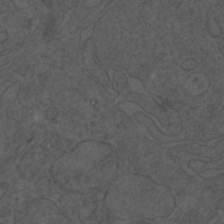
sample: Trachea